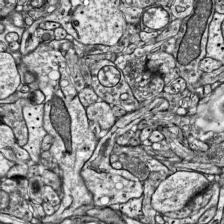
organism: Mouse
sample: Visual Cortex